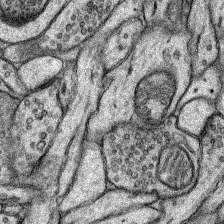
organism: Rat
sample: Hippocampus